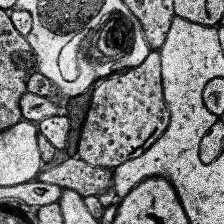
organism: Human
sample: Temporal Lobe